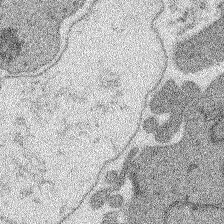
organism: Human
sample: HeLa cells